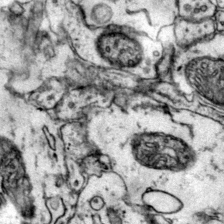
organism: Mouse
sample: Primary visual cortex